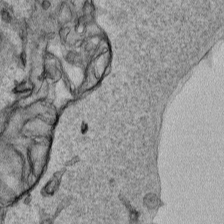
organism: Human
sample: Mitochondria in HCT116 cells